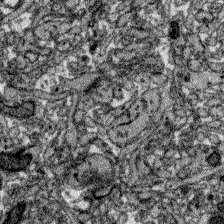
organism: Zebrafish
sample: Larval olfactory bulb